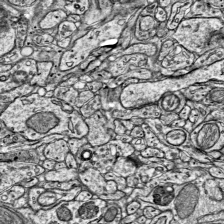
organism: Mouse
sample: Visual Cortex